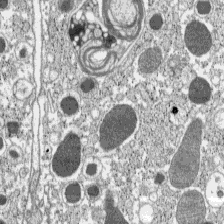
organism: C57BL Mouse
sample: Pancreatic islet